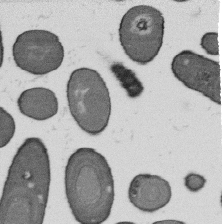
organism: B. subtilis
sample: Bacterial spore